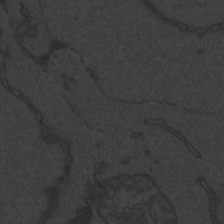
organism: Zebrafish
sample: Macrophage infected with Toxoplasma gondii